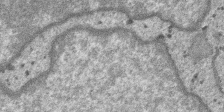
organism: Human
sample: Lung epithelial cells infected with SARS-CoV-2